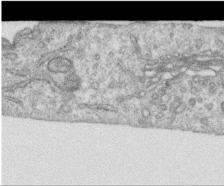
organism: Human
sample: Centriole in RPE cells